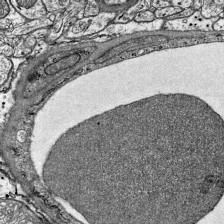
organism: Mouse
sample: Visual Cortex